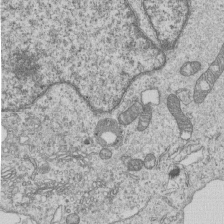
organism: Human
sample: MDA-MB-231 cells